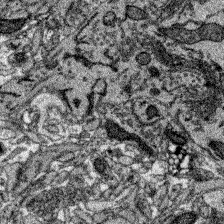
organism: Zebrafish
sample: Larval olfactory bulb